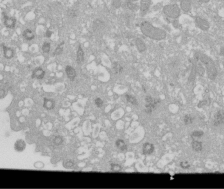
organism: Xenopus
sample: Cilia; centrioles in frog embryo cells